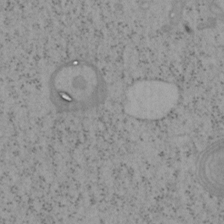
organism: Mouse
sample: OT-I killer T cells with ID8 ovarian cancer cells